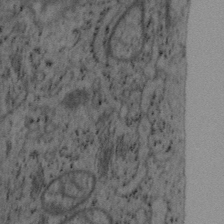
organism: Human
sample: HeLa cells